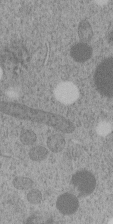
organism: C. elegans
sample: C. elegans embryo early stage